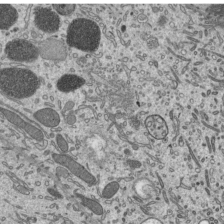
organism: Mouse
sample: Mouse epididymis efferent ductule cilia